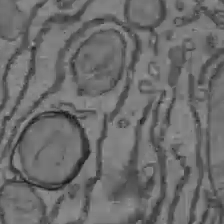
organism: C57BL Mouse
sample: Liver